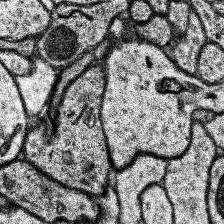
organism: Human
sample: Temporal Lobe